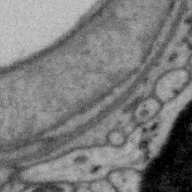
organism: Zebra finch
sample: Brain